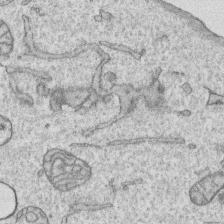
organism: Human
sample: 1205lu cells